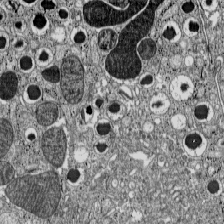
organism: C57BL Mouse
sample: Pancreatic islet